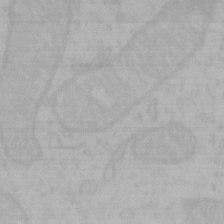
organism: Mouse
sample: Choroid plexus